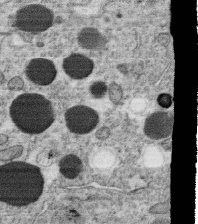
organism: C. elegans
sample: C. elegans oocyte; sperm cells